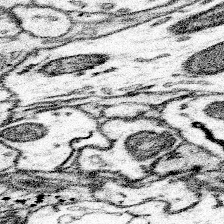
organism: Mouse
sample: Somatosensory cortex neuropil